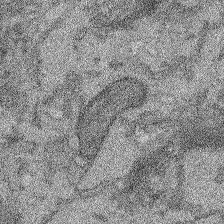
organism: Human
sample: HeLa cells